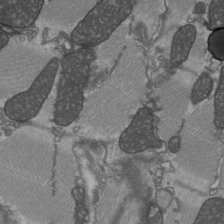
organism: C57BL Mouse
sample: Heart